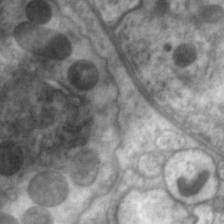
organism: C. elegans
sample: Pharynx